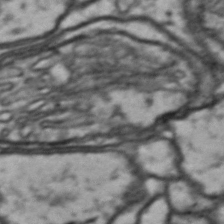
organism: Drosophila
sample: Brain